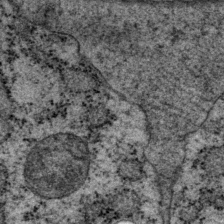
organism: P. pacificus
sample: Pharynx